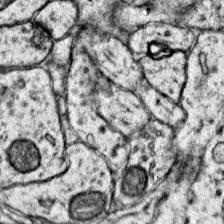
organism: Mouse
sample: Primary visual cortex